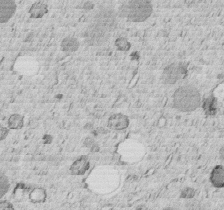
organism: C. elegans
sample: C. elegans embryo early stage